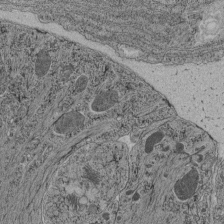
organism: C. elegans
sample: C. elegans pharynx